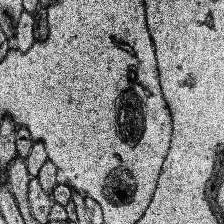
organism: Human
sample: Temporal Lobe